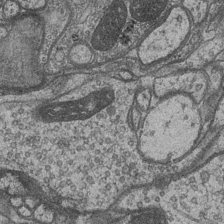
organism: Drosophila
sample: Optic medulla